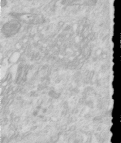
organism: Human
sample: Centriole in RPE cells